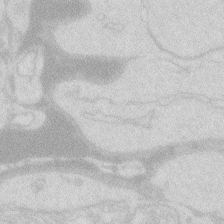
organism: Zebrafish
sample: Macrophage